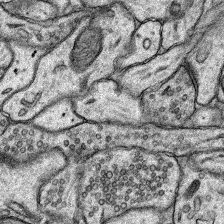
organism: Rat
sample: Hippocampus